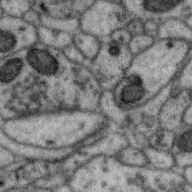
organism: Zebra finch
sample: Brain